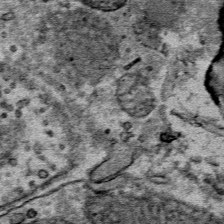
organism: Mouse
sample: Mouse Salivary gland